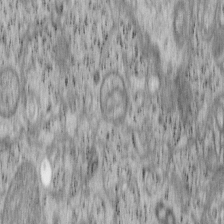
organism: Human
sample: HeLa cells